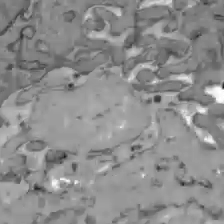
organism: C57BL Mouse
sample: Liver